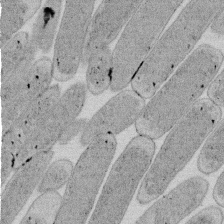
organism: E. coli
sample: Bacterial nucleoid